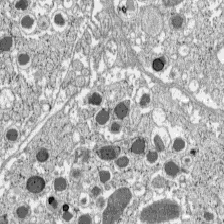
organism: C57BL Mouse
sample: Pancreatic islet